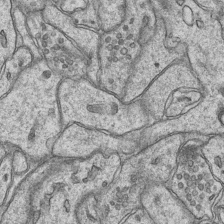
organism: Mouse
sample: CA1 Hippocampus